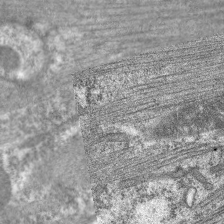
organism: C. elegans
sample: Pharynx